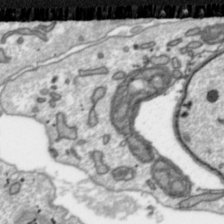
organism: Toxoplasma gondii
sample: Parasites in a vacuole inside a host cell